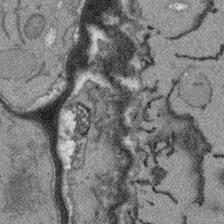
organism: Arabidopsis thaliana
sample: Root tip